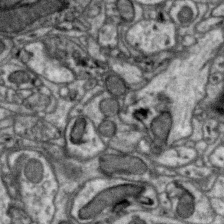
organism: Zebra finch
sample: Brain